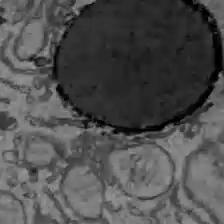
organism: C57BL Mouse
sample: Liver